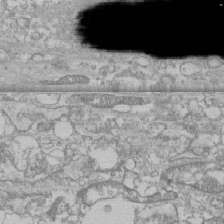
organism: Human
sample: CRL-1474